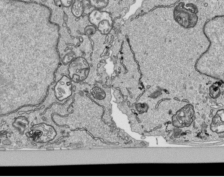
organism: Human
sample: Mitochondria in HCT116 cells